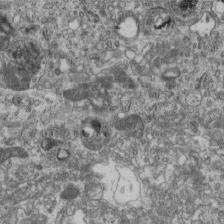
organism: Mouse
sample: Centriole in ependymal cells